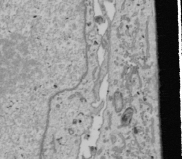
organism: Human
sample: Mitochondria in U2OS cells